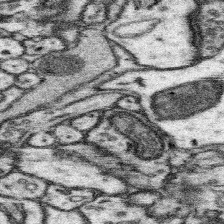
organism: Mouse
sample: Somatosensory cortex neuropil